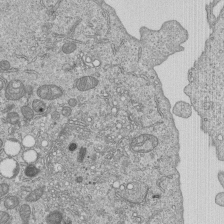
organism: Human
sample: MDA-MB-231 cells